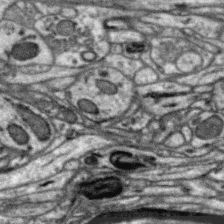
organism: Zebra finch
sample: Brain